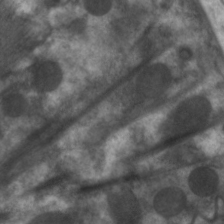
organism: C. elegans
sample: Pharynx